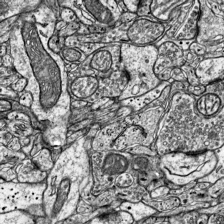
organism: Mouse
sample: Visual Cortex